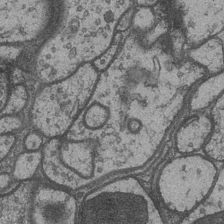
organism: Drosophila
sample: Optic medulla